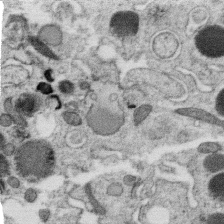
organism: C. elegans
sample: C. elegans oocyte; sperm cells